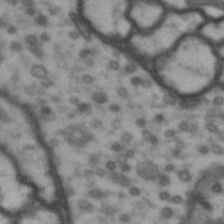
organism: Drosophila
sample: Brain